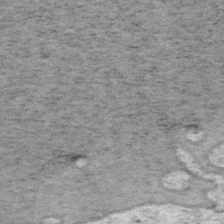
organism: Mouse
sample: OT-I killer T cells with ID8 ovarian cancer cells